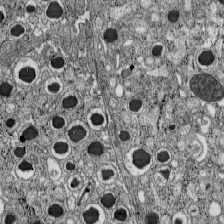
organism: C57BL Mouse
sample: Pancreatic islet